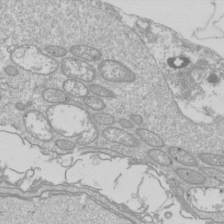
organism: Drosophila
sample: Cell division; meiosis; drosophila spermatocytes